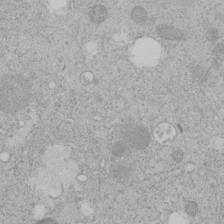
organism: C. elegans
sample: C. elegans embryo early stage